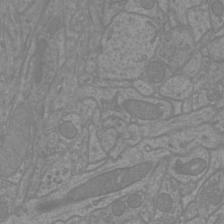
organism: Mouse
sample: Cortical neurons